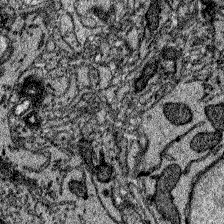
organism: Zebrafish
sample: Larval olfactory bulb